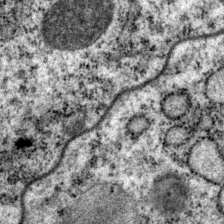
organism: P. pacificus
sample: Pharynx